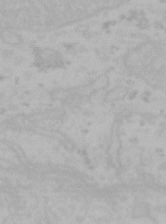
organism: Mouse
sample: Choroid plexus